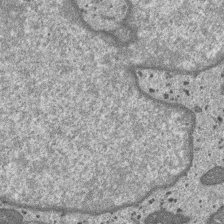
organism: Human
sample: Lung epithelial cells infected with SARS-CoV-2